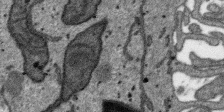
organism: Human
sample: Lung epithelial cells, uninfected (mock) control